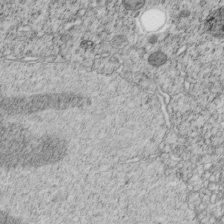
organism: C. elegans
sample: C. elegans embryo early stage